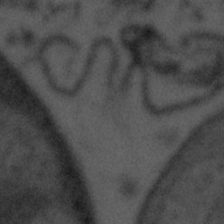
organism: Tuwongella immobilis